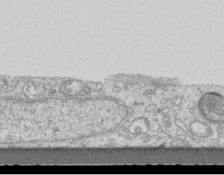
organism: Mouse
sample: Centriole in ependymal cells